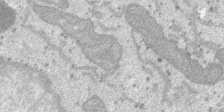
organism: Human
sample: Lung epithelial cells infected with SARS-CoV-2